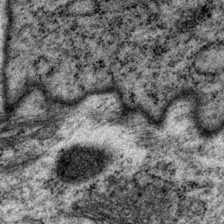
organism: P. pacificus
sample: Pharynx